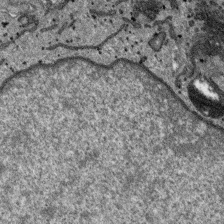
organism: Human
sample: Lung epithelial cells, uninfected (mock) control